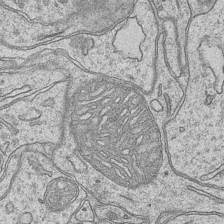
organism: Mouse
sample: CA1 Hippocampus